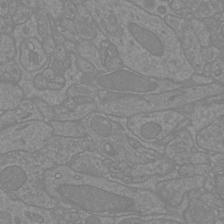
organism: Mouse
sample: Cortical neurons